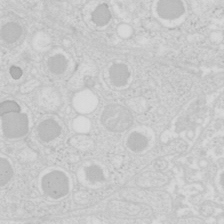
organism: Mouse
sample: Pancreas